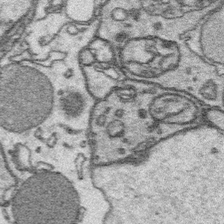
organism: Platynereis dumerilii